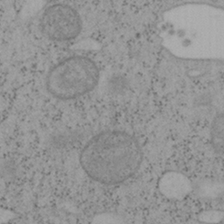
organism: Mouse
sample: OT-I killer T cells with ID8 ovarian cancer cells